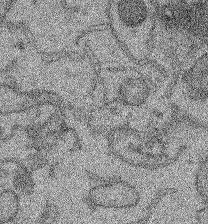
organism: Human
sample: HeLa cells